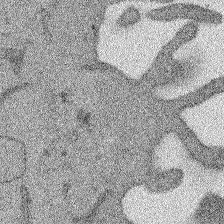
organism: Human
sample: HeLa cells